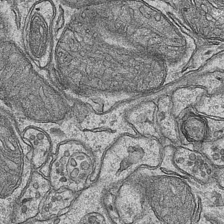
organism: Mouse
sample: CA1 Hippocampus